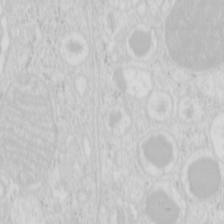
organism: Mouse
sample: Pancreas